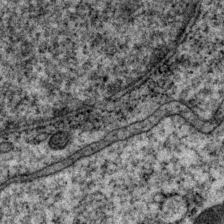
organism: P. pacificus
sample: Pharynx